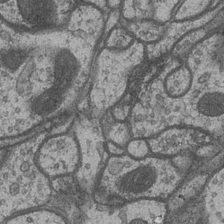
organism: Drosophila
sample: Optic medulla